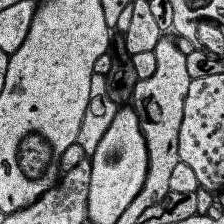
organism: Human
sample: Temporal Lobe